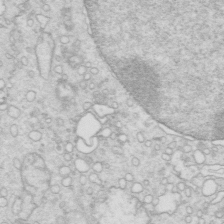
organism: Mouse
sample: Multiciliated cells